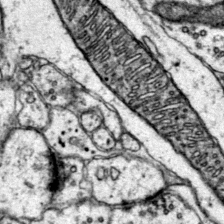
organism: Mouse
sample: Primary visual cortex